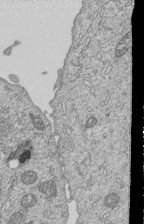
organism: Human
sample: MDA-MB-231 cells